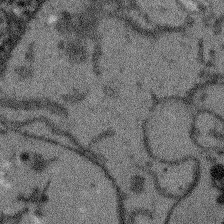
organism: Arabidopsis thaliana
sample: Root tip